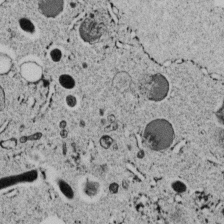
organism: C. elegans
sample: C. elegans embryo early stage